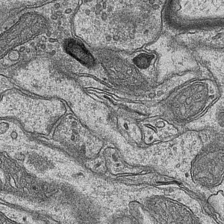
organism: Mouse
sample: CA1 Hippocampus